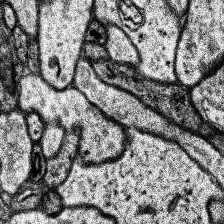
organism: Human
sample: Temporal Lobe